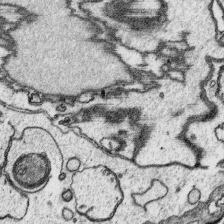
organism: Platynereis dumerilii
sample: Parapodia